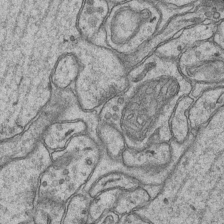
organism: Mouse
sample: CA1 Hippocampus